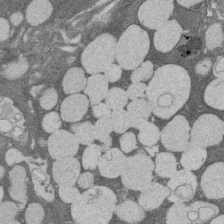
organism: Rat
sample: Salivary granule